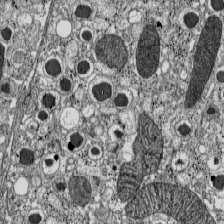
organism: C57BL Mouse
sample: Pancreatic islet